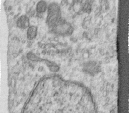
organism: Human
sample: Centriole in RPE cells